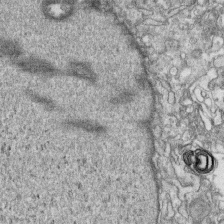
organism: Human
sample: CRL-1474